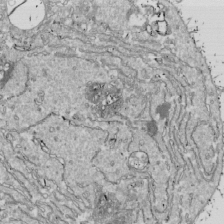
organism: Drosophila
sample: Cell division; meiosis; drosophila spermatocytes